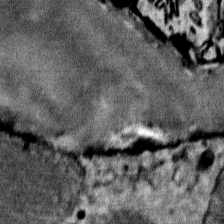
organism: Mouse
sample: Mouse Salivary gland